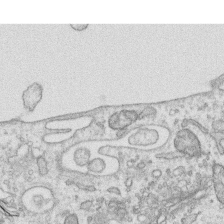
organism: Human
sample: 1205lu cells